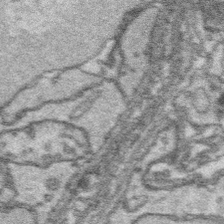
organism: Platynereis dumerilii